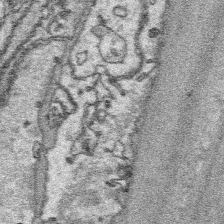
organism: Platynereis dumerilii